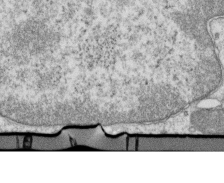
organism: Mouse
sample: Activated OT-1 CD8+ T cells